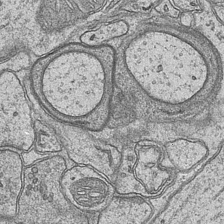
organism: Mouse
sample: CA1 Hippocampus